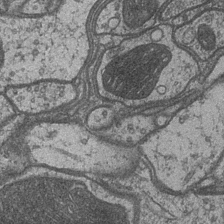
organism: Drosophila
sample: Optic medulla